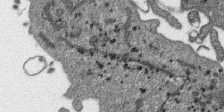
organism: Human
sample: Lung epithelial cells infected with SARS-CoV-2